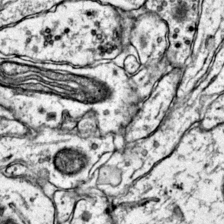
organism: Mouse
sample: Primary visual cortex